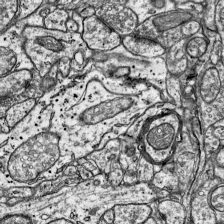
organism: Mouse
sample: Visual Cortex